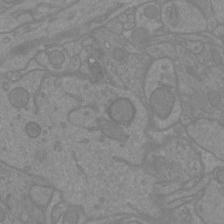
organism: Mouse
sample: Cortical neurons